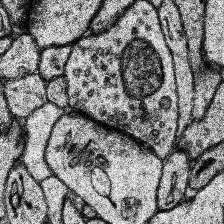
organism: Human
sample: Temporal Lobe